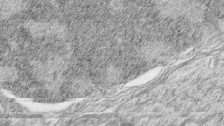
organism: Zebrafish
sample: synaptic ribbons in rod cells and cone cells